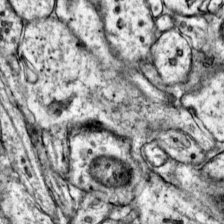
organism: Mouse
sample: Primary visual cortex